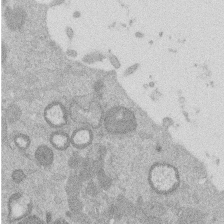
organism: Mouse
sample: Dividing mouse embryo 1 cell stage